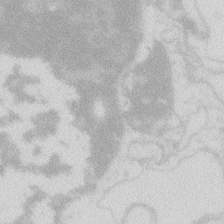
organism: Zebrafish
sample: Macrophage